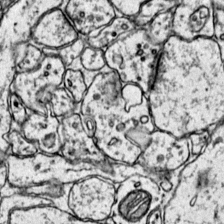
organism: Mouse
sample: Primary visual cortex